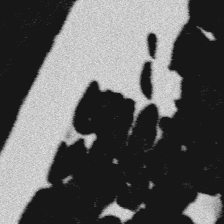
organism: Platynereis dumerilii